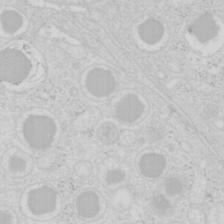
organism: Mouse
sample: Pancreas